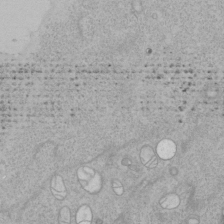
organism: Human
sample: Mitochondria in HCT116 cells